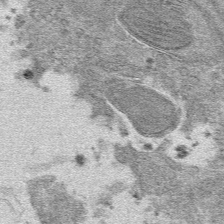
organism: Mouse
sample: Mouse hepatocytes